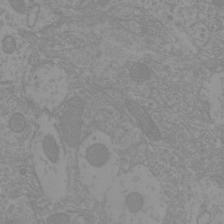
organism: Mouse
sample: Cortical neurons